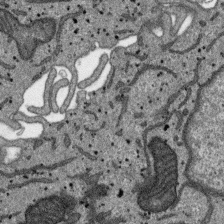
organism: Human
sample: Lung epithelial cells, uninfected (mock) control